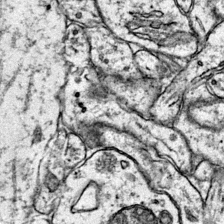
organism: Mouse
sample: Primary visual cortex